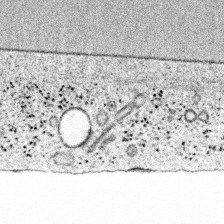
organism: Human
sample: HeLa cells